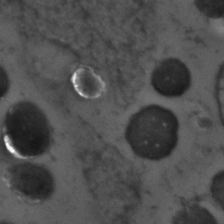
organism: Zebrafish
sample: Zebrafish embryo